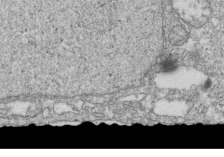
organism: Human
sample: HeLa cell HIV synapse